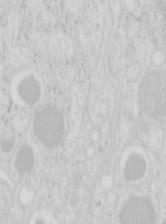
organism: Mouse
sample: Pancreas